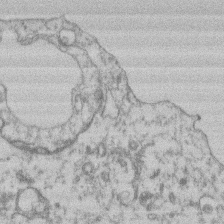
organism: Mouse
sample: T cell stromal cell synapse